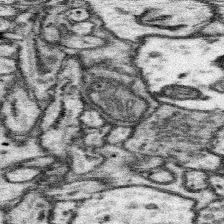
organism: Mouse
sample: Somatosensory cortex neuropil